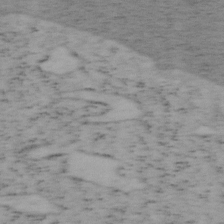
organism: Mouse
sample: OT-I killer T cells with ID8 ovarian cancer cells